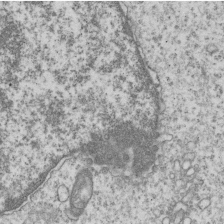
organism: Human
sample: MDA-MB-231 cells